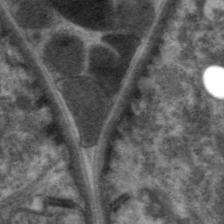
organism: C. elegans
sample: Pharynx